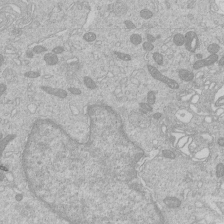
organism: Human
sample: Macrophage cells